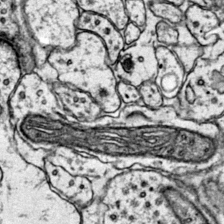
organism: Mouse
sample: Primary visual cortex